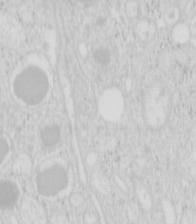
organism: Mouse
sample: Pancreas